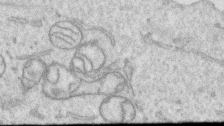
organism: Human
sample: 1205lu cells